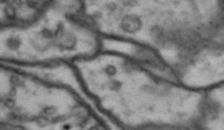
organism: Drosophila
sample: Brain